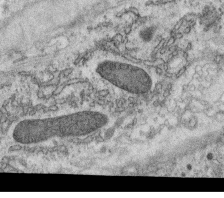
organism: C. elegans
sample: C. elegans oocyte; sperm cells